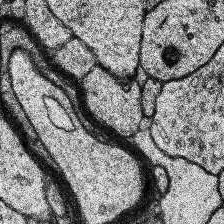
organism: Human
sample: Temporal Lobe